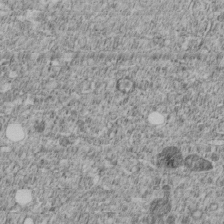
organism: C. elegans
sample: C. elegans embryo early stage